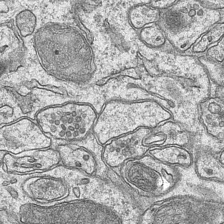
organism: Mouse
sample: CA1 Hippocampus